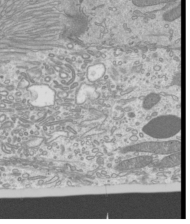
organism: Mouse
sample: Cilia; mouse epididymis